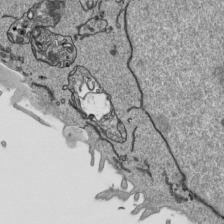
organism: Human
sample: Mitochondria in HCT116 cells